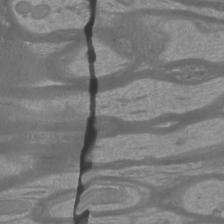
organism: Mouse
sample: Cortical neurons